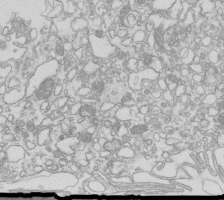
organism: Mouse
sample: Macrophages